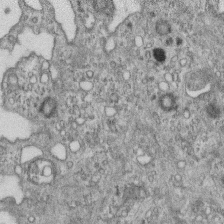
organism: Mouse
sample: Centriole in ependymal cells